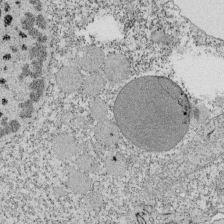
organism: Tetrahymena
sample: Cilia in tetrahymena